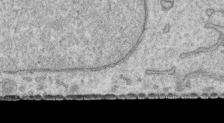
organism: Human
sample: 1205lu cells